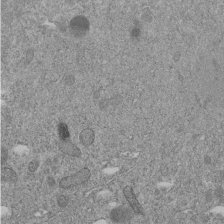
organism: C. elegans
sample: C. elegans embryo early stage